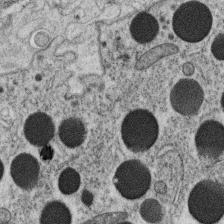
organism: C. elegans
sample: C. elegans oocyte; sperm cells